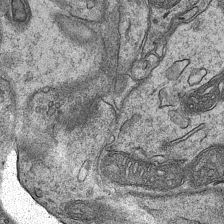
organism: Mouse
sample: CA1 Hippocampus